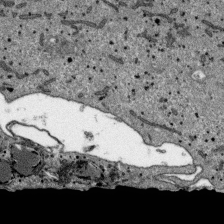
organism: Human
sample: Lung epithelial cells, uninfected (mock) control